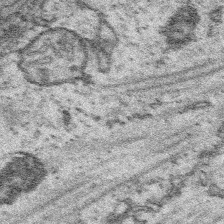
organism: Platynereis dumerilii